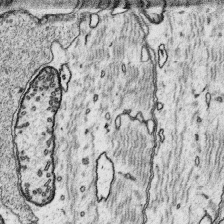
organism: Platynereis dumerilii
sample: Parapodia